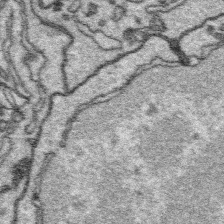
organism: Platynereis dumerilii